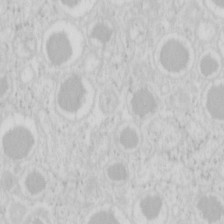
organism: Mouse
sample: Pancreas